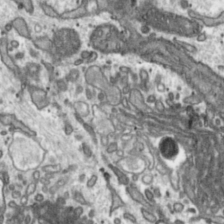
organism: Toxoplasma gondii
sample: Parasites in a vacuole inside a host cell